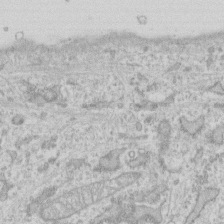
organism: Human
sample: Fibroblast cells